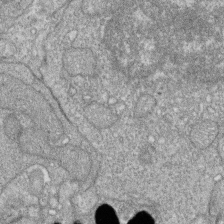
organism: Zebrafish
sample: Cilia; retinal pigment epithelium